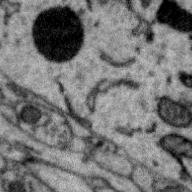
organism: Zebra finch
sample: Brain